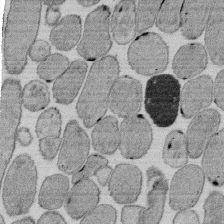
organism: E. coli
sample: Bacterial nucleoid